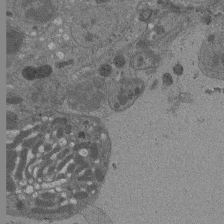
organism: Drosophila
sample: Antenna